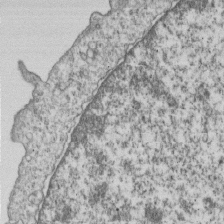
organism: Human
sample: MDA-MB-231 cells